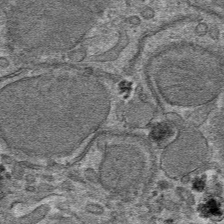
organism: Mouse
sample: Mouse hepatocytes